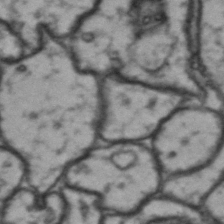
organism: Drosophila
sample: Brain